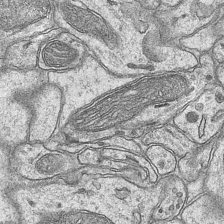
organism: Mouse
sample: CA1 Hippocampus